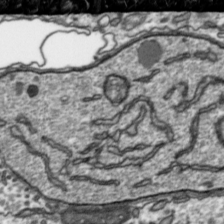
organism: Toxoplasma gondii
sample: Parasites in a vacuole inside a host cell